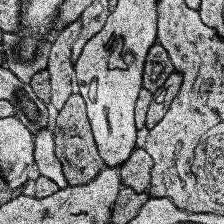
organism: Human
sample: Temporal Lobe